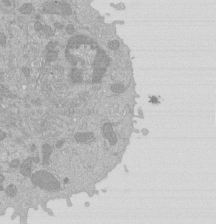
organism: Mouse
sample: Activated Pmel transgenic CD8+ T Cells